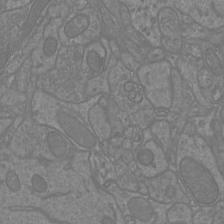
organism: Mouse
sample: Cortical neurons